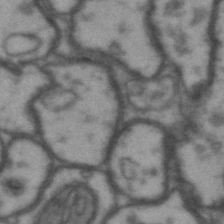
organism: Drosophila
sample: Brain